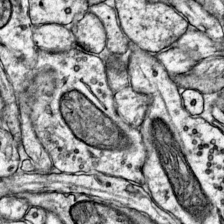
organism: Mouse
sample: Primary visual cortex